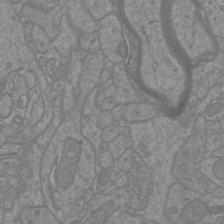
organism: Mouse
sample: Cortical neurons